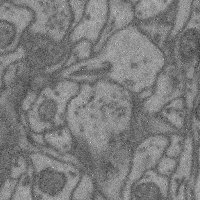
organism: Mouse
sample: Cerebral cortex